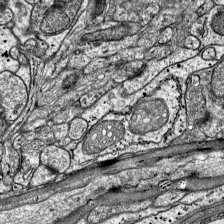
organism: Mouse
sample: Visual Cortex